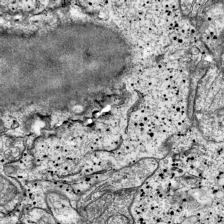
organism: Mouse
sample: Visual Cortex